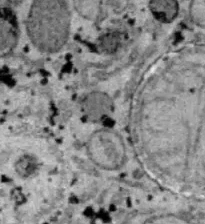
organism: Mouse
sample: Liver from an obese (ob/ob) mouse